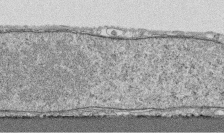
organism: Human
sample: CRL-1474